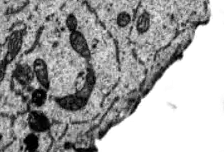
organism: Human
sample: HeLa cells